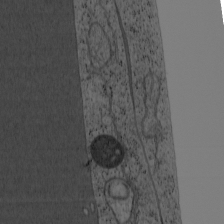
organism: African green monkey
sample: COS-7 cells